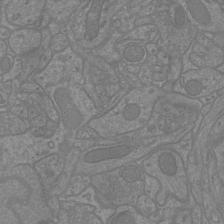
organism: Mouse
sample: Cortical neurons